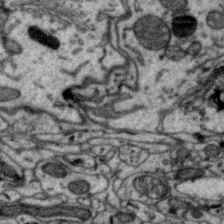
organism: Zebra finch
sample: Brain